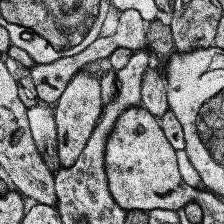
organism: Human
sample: Temporal Lobe